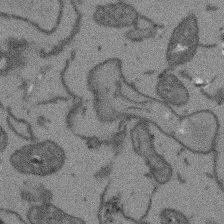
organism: Arabidopsis thaliana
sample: Root tip